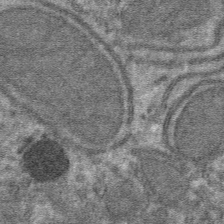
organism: Mouse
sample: Mouse hepatocytes